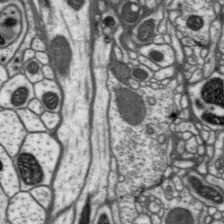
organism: Drosophila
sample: Protocerebral bridge